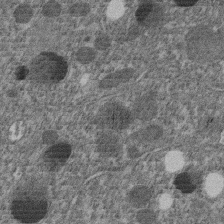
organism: C. elegans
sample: C. elegans embryo early stage